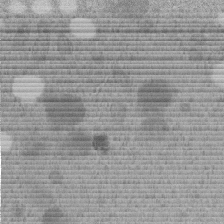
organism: C. elegans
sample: C. elegans embryo early stage